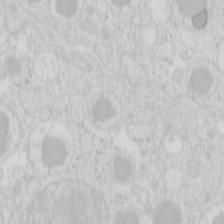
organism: Mouse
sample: Pancreas